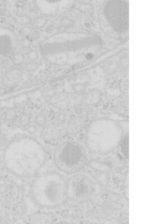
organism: Mouse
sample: Pancreas